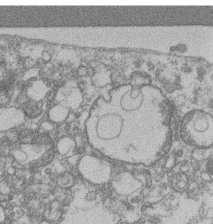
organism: Mouse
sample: T cell stromal cell synapse